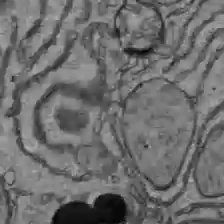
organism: C57BL Mouse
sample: Liver